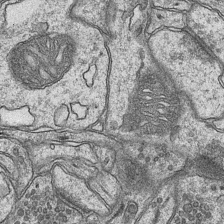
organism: Mouse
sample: CA1 Hippocampus